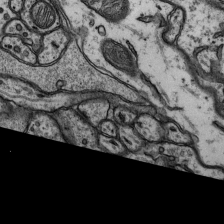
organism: Rat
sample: Hippocampus